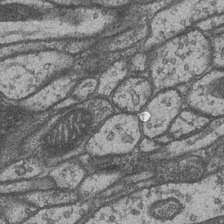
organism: Drosophila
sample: Optic medulla